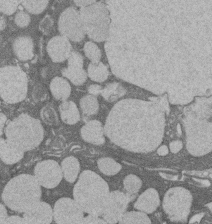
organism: Rat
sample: Salivary granule